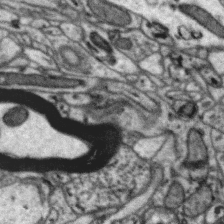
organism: Zebra finch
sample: Brain